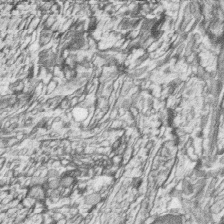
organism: Zebrafish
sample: synaptic ribbons in rod cells and cone cells